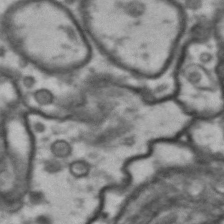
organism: Drosophila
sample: Brain